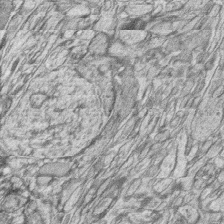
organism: Zebrafish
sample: synaptic ribbons in rod cells and cone cells